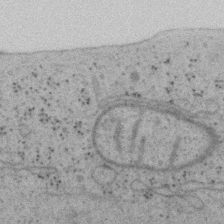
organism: Human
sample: HeLa cells